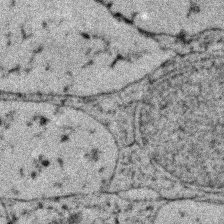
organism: Zebrafish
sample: Zebrafish embryo